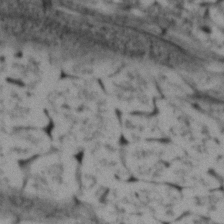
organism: Zebrafish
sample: Zebrafish embryo